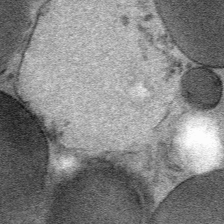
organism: Mouse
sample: Mouse Salivary gland